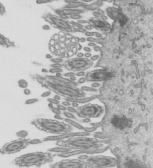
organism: Mouse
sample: Mouse epididymis efferent ductule cilia